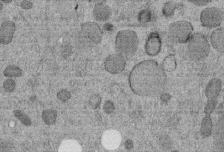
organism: C. elegans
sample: C. elegans embryo early stage